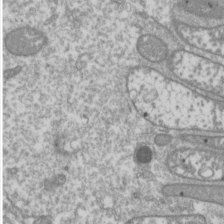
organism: Drosophila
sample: Cell division; meiosis; drosophila spermatocytes